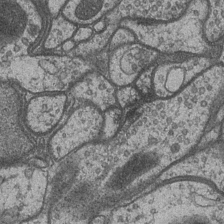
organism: Drosophila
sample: Optic medulla